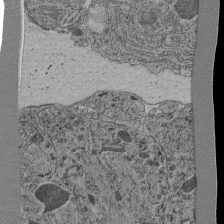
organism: C. elegans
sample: C. elegans pharynx